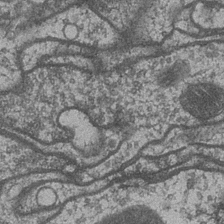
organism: Drosophila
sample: Optic medulla